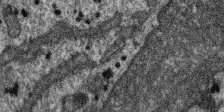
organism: Human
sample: Lung epithelial cells infected with SARS-CoV-2